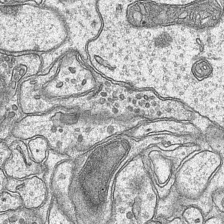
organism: Mouse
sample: CA1 Hippocampus